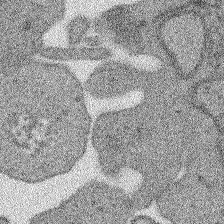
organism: Human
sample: HeLa cells